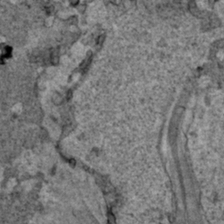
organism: Human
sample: Mitochondria in HCT116 cells